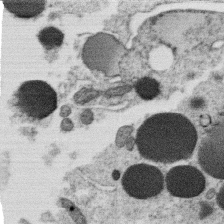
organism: C. elegans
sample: C. elegans oocyte; sperm cells